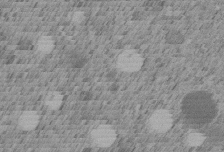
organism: C. elegans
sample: C. elegans embryo early stage